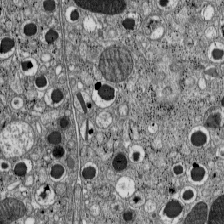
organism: C57BL Mouse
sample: Pancreatic islet